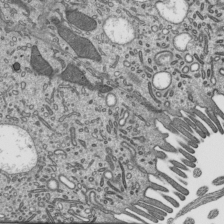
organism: Mouse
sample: Mouse epididymis efferent ductule cilia